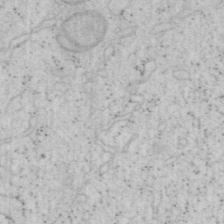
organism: Human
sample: HeLa cells